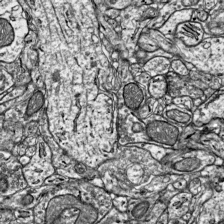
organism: Mouse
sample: Visual Cortex